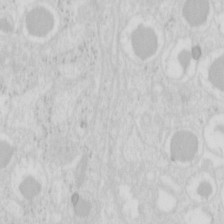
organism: Mouse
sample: Pancreas